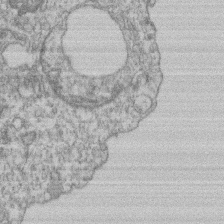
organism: Mouse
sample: T cell stromal cell synapse